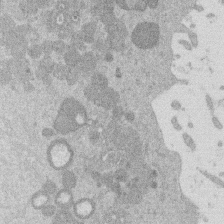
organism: Mouse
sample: Dividing mouse embryo 1 cell stage